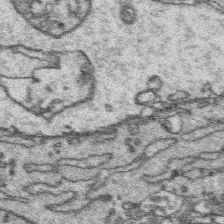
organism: Platynereis dumerilii